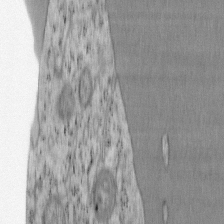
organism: Human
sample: HeLa cells